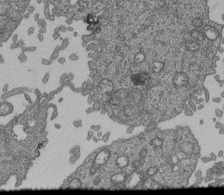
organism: Human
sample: Retinal organoid Rod and Cone cells